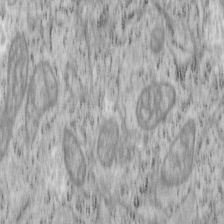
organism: Human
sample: HeLa cells